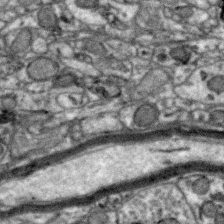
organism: Zebra finch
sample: Brain